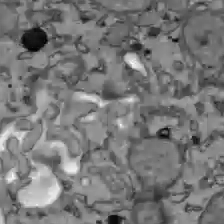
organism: C57BL Mouse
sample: Liver